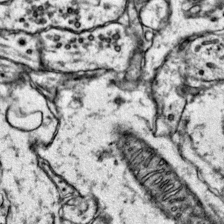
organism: Mouse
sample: Primary visual cortex